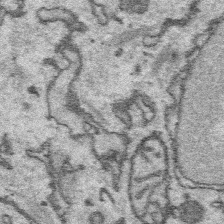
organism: Platynereis dumerilii